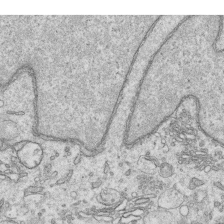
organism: Human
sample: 1205lu cells